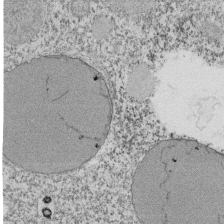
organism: Tetrahymena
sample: Cilia in tetrahymena